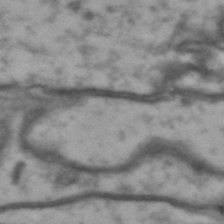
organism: Drosophila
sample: Brain